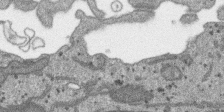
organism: Human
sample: Lung epithelial cells infected with SARS-CoV-2